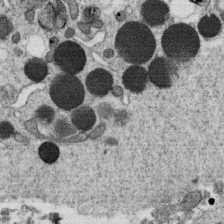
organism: C. elegans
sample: C. elegans oocyte; sperm cells